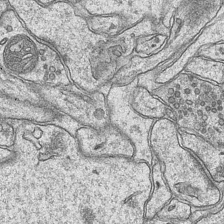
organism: Mouse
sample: CA1 Hippocampus